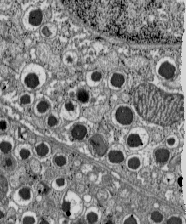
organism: C57BL Mouse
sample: Pancreatic islet